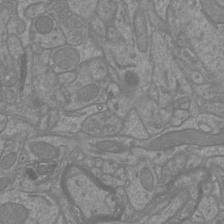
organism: Mouse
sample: Cortical neurons